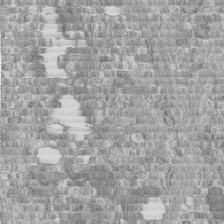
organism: Human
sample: Centriole in fibroblast cells